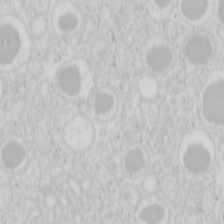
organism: Mouse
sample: Pancreas